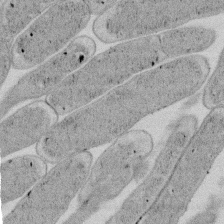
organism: E. coli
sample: Bacterial nucleoid